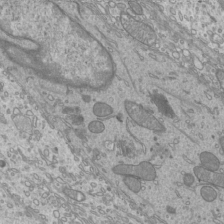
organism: Mouse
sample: Cilia; mouse epididymis